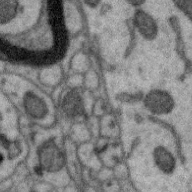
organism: Zebra finch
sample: Brain